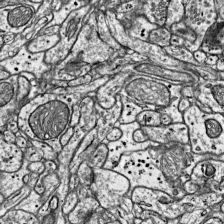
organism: Mouse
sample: Visual Cortex